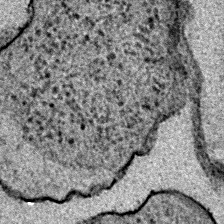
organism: E. coli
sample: E. Coli Bacteria